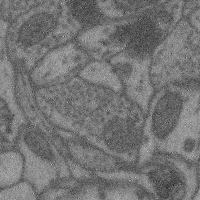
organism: Mouse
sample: Cerebral cortex